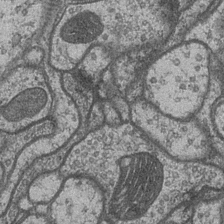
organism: Drosophila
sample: Optic medulla